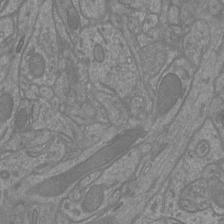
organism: Mouse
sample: Cortical neurons